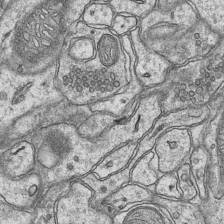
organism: Mouse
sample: CA1 Hippocampus